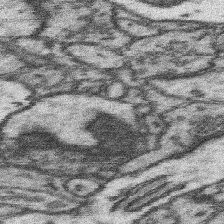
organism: Mouse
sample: Somatosensory cortex neuropil